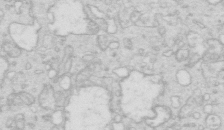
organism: Mouse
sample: Multiciliated cells